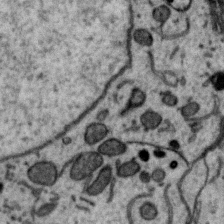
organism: Zebra finch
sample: Brain